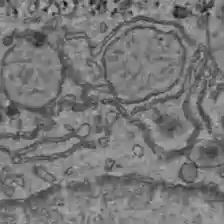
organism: C57BL Mouse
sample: Liver